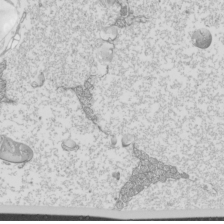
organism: Mouse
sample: Cilia; mouse epididymis